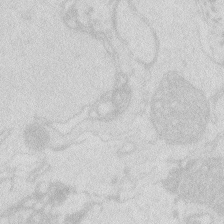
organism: Zebrafish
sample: Macrophage